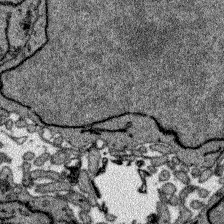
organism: Zebrafish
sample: Larval olfactory bulb